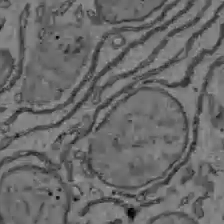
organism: C57BL Mouse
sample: Liver